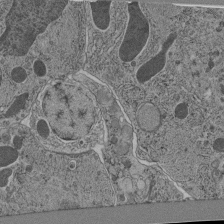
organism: C. elegans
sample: C. elegans pharynx